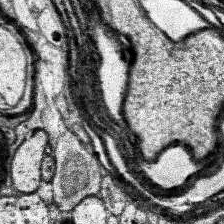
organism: Human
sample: Temporal Lobe